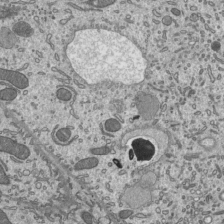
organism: Mouse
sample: Mouse epididymis efferent ductule cilia